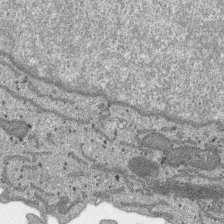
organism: Human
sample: Lung epithelial cells infected with SARS-CoV-2